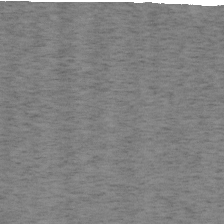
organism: Mouse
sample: OT-I killer T cells with ID8 ovarian cancer cells